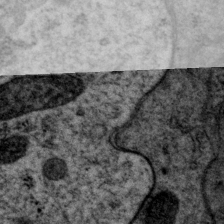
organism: P. pacificus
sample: Pharynx